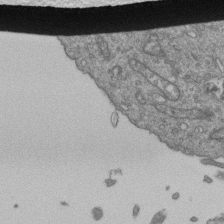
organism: Human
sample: Retinal organoid Rod and Cone cells